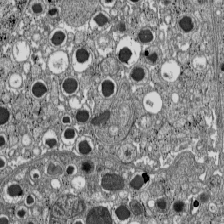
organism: C57BL Mouse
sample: Pancreatic islet